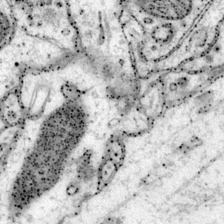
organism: Mouse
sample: Primary visual cortex